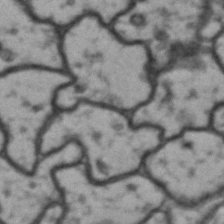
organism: Drosophila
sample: Brain